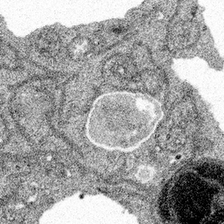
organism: Spongilla lacustris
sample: Multiple